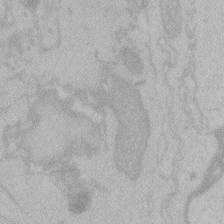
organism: Zebrafish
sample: Macrophage infected with Toxoplasma gondii